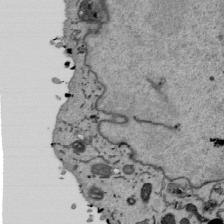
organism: Mouse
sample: ED-1 cell nuclei; centrioles